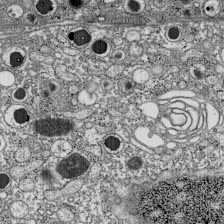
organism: C57BL Mouse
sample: Pancreatic islet